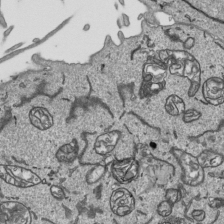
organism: Human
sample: Mitochondria in HCT116 cells